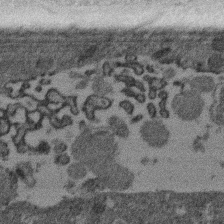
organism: Mouse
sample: Dividing mouse embryo 1 cell stage